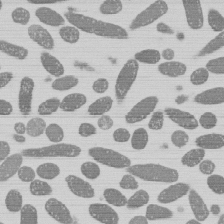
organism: E. coli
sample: Bacterial nucleoid